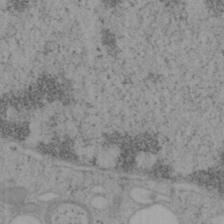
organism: Mouse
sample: OT-I killer T cells with ID8 ovarian cancer cells